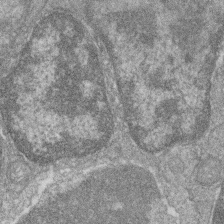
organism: Zebrafish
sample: Cilia; retinal pigment epithelium